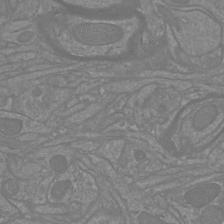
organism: Mouse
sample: Cortical neurons